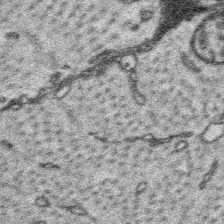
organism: Platynereis dumerilii